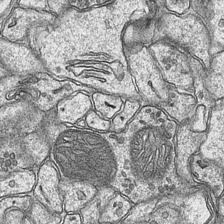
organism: Mouse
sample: CA1 Hippocampus